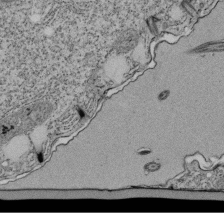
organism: Tetrahymena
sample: Cilia in tetrahymena